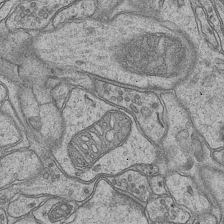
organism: Mouse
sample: CA1 Hippocampus